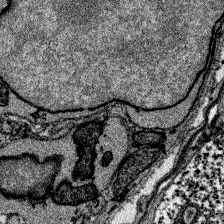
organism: Zebrafish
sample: Larval olfactory bulb